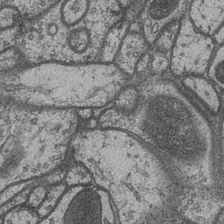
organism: Drosophila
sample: Optic medulla